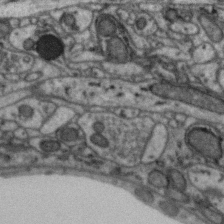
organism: Zebra finch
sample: Brain